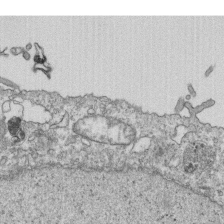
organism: Human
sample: HeLa cell HIV synapse